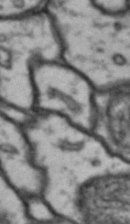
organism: Drosophila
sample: Brain